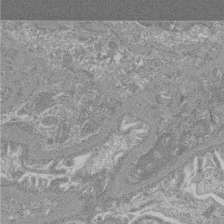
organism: Mouse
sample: Glomerulus